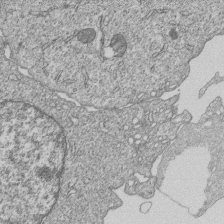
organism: Human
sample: MDA-MB-231 cells